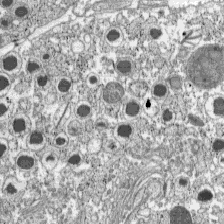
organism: C57BL Mouse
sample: Pancreatic islet